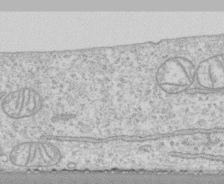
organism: Human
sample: CRL-1474